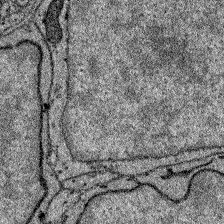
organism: Zebrafish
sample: Larval olfactory bulb